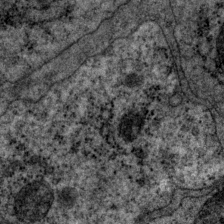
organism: P. pacificus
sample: Pharynx